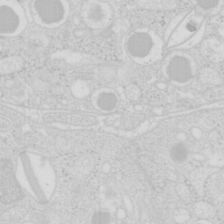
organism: Mouse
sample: Pancreas